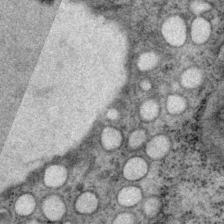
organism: P. pacificus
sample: Pharynx